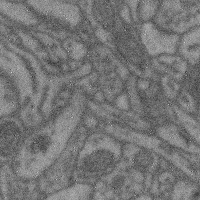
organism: Mouse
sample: Cerebral cortex